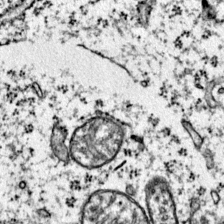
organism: Mouse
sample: Primary visual cortex